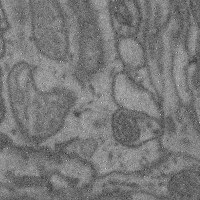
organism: Mouse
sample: Cerebral cortex